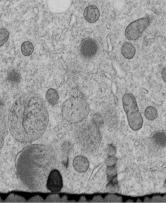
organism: C. elegans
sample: C. elegans embryo early stage